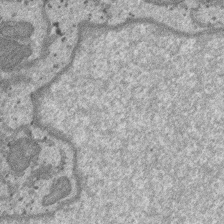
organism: Human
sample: Lung epithelial cells infected with SARS-CoV-2